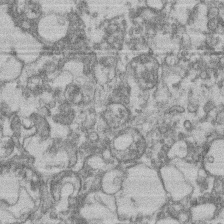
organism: Mouse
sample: T cell stromal cell synapse